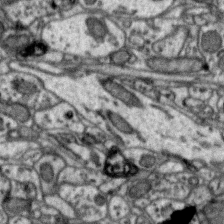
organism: Zebra finch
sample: Brain